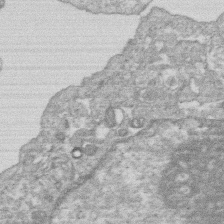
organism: Human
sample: Macrophage cells